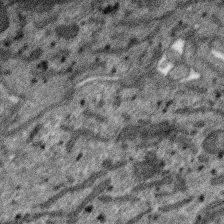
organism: Human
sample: Lung epithelial cells infected with SARS-CoV-2